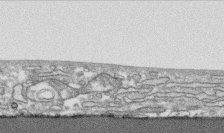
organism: Human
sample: CRL-1474